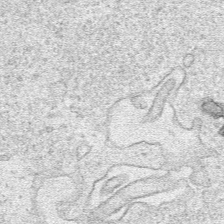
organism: Human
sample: Mitochondria in HCT116 cells